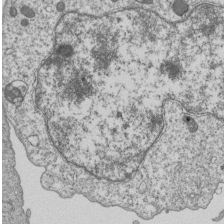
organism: Human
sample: MDA-MB-231 cells